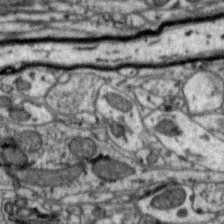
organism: Zebra finch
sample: Brain